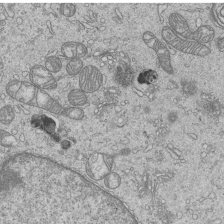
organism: Human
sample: MDA-MB-231 cells